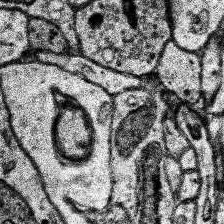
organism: Human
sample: Temporal Lobe